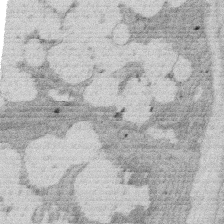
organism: Rat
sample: Salivary granule